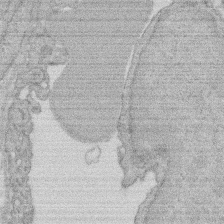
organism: Rat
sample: Salivary granule